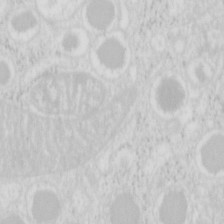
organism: Mouse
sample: Pancreas